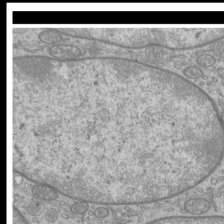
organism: Mouse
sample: Cilia; mouse epididymis